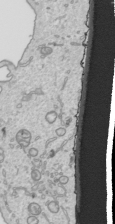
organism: Human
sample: Mitochondria in HCT116 cells